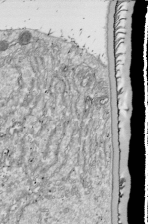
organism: Drosophila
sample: Cell division; meiosis; drosophila spermatocytes